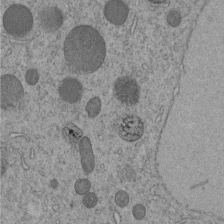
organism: C. elegans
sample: C. elegans embryo early stage